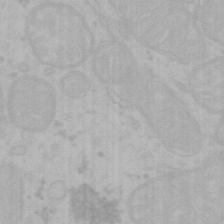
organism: Mouse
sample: Choroid plexus